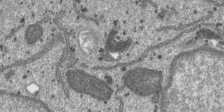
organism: Human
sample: Lung epithelial cells infected with SARS-CoV-2